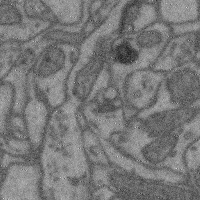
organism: Mouse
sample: Cerebral cortex